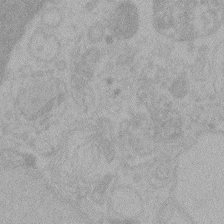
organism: Zebrafish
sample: Macrophage infected with Toxoplasma gondii